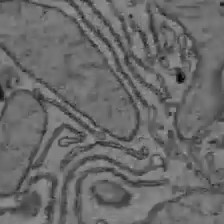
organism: C57BL Mouse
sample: Liver